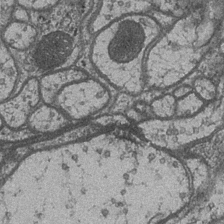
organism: Drosophila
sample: Optic medulla